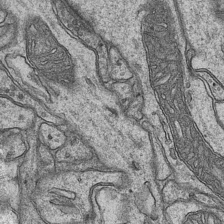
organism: Mouse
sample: CA1 Hippocampus